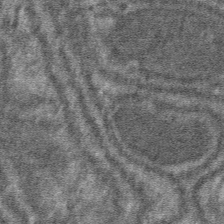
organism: Mouse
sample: Mouse hepatocytes